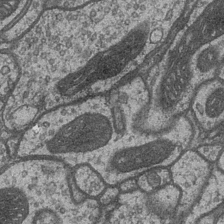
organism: Drosophila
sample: Optic medulla